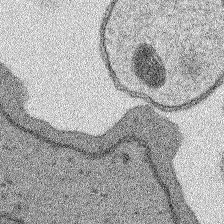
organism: Human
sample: HeLa cells